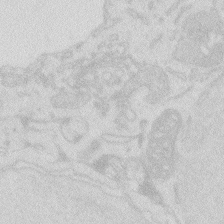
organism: Zebrafish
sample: Macrophage